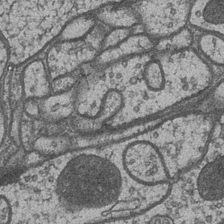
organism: Drosophila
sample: Optic medulla